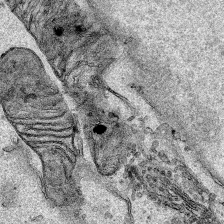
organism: Human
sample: Mitochondria in HCT116 cells